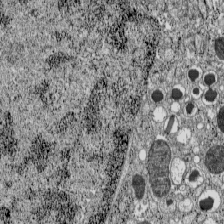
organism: C57BL Mouse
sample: Pancreatic islet